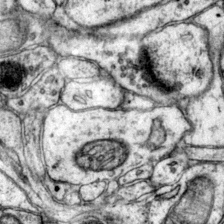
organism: Mouse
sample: Primary visual cortex